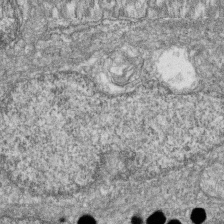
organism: Zebrafish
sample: Cilia; retinal pigment epithelium